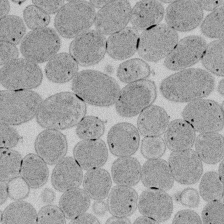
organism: E. coli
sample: Bacterial nucleoid